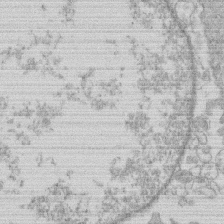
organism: Human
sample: Macrophage cells